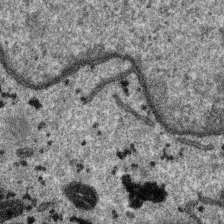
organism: Human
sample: Lung epithelial cells infected with SARS-CoV-2